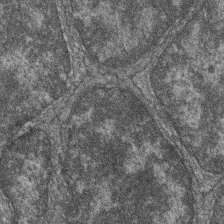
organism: Zebrafish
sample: Cilia; retinal pigment epithelium